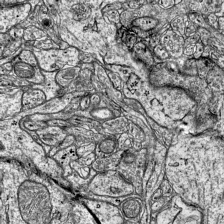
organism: Mouse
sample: Visual Cortex